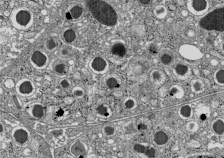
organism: C57BL Mouse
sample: Pancreatic islet